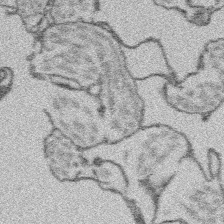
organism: Platynereis dumerilii